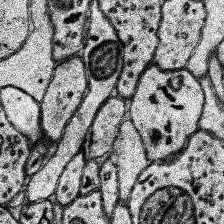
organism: Human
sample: Temporal Lobe